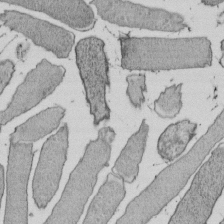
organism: E. coli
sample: Bacterial nucleoid